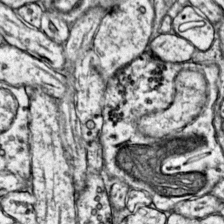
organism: Mouse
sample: Primary visual cortex